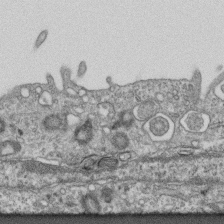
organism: Mouse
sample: Centriole in ependymal cells